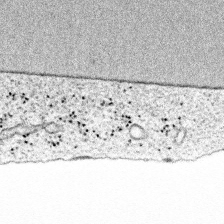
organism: Human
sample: HeLa cells